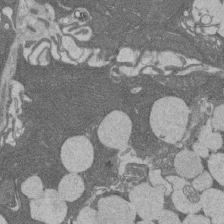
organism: Rat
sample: Salivary granule